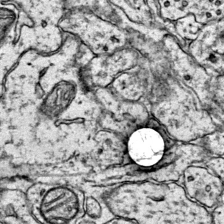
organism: Mouse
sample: Primary visual cortex